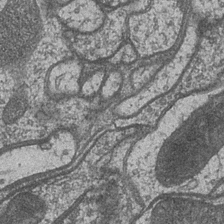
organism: Drosophila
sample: Optic medulla